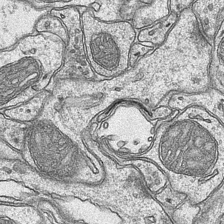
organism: Mouse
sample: CA1 Hippocampus